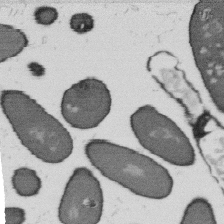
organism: B. subtilis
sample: Bacterial spore